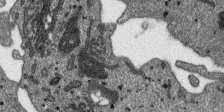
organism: Human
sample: Lung epithelial cells infected with SARS-CoV-2